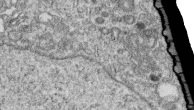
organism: Human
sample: HeLa cell HIV synapse